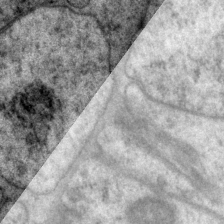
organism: P. pacificus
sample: Pharynx